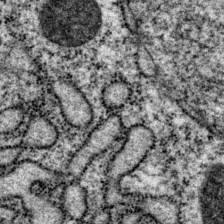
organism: P. pacificus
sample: Pharynx